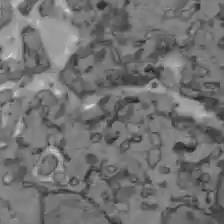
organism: C57BL Mouse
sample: Liver